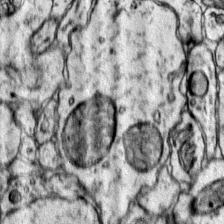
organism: Mouse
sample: Primary visual cortex